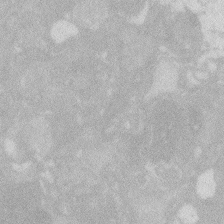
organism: Zebrafish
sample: Macrophage